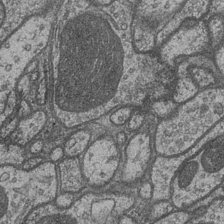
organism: Drosophila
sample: Optic medulla